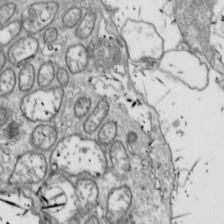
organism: Drosophila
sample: Cell division; meiosis; drosophila spermatocytes